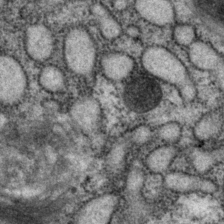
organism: P. pacificus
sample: Pharynx